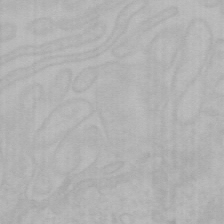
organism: Mouse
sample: Choroid plexus